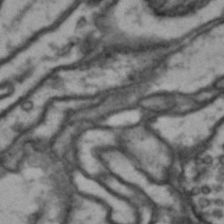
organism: Drosophila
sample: Brain